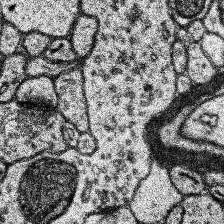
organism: Human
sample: Temporal Lobe